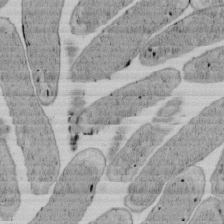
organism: E. coli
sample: Bacterial nucleoid